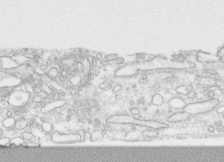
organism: Human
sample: CRL-1474